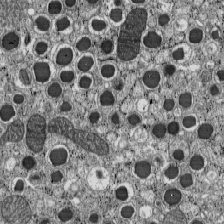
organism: C57BL Mouse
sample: Pancreatic islet